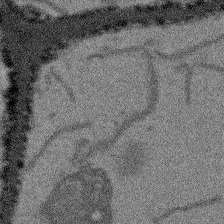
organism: Arabidopsis thaliana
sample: Root tip